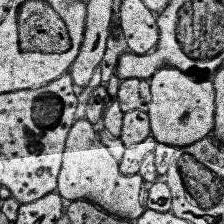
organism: Human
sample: Temporal Lobe